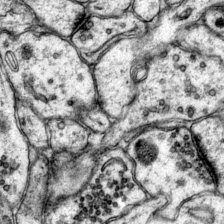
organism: Mouse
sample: Primary visual cortex